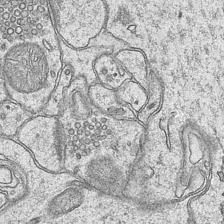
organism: Mouse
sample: CA1 Hippocampus